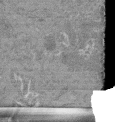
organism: Mouse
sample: Glomerulus